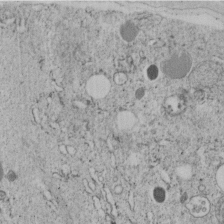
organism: C. elegans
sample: C. elegans embryo early stage